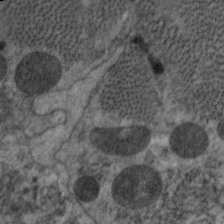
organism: C. elegans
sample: Pharynx